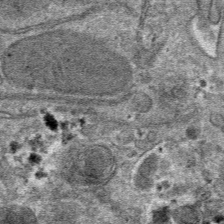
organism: Mouse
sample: Mouse hepatocytes